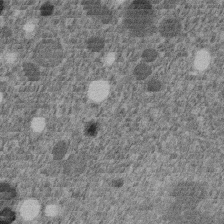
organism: C. elegans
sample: C. elegans embryo early stage